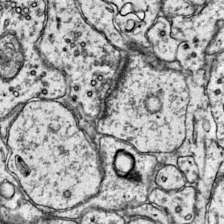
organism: Mouse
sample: Primary visual cortex